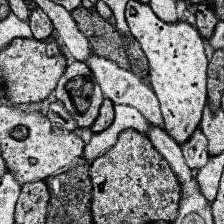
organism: Human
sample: Temporal Lobe